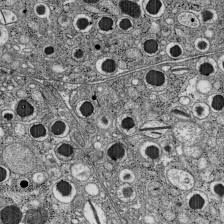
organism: C57BL Mouse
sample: Pancreatic islet